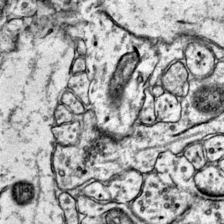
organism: Mouse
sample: Primary visual cortex